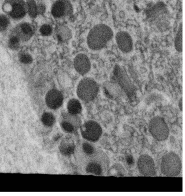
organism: C. elegans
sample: C. elegans oocyte; sperm cells